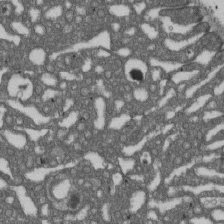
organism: Drosophila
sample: Nephrocyte